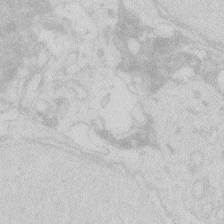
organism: Zebrafish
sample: Macrophage